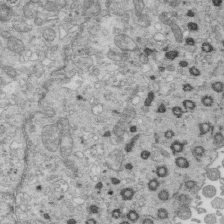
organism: Mouse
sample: Multiciliated cells